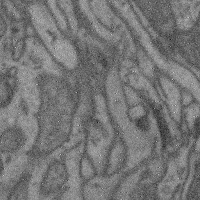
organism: Mouse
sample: Cerebral cortex